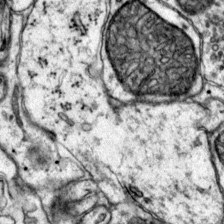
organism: Mouse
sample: Primary visual cortex